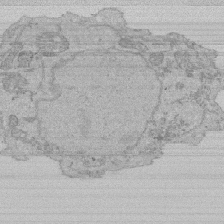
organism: Human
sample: Activated Jurkat CD4+ T cells